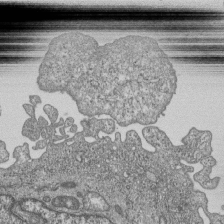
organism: Human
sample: MDA-MB-231 cells